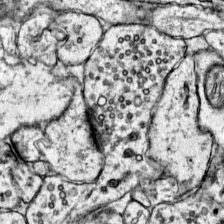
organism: Mouse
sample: Primary visual cortex